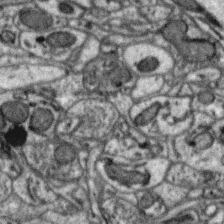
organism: Zebra finch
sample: Brain